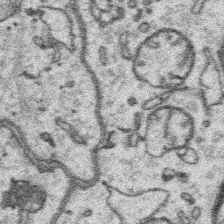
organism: Platynereis dumerilii